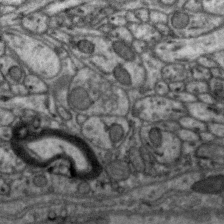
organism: Zebra finch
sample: Brain